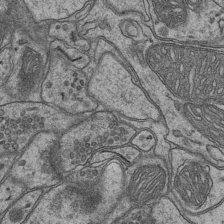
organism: Mouse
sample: CA1 Hippocampus